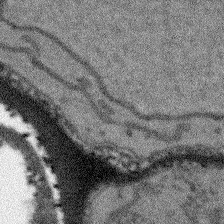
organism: Arabidopsis thaliana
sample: Root tip